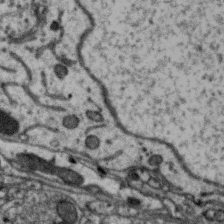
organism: Zebra finch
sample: Brain